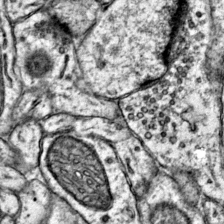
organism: Mouse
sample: Primary visual cortex